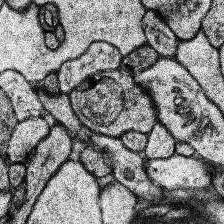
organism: Human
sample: Temporal Lobe